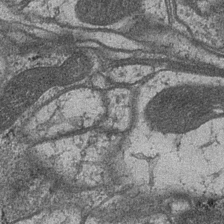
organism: Drosophila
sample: Optic medulla